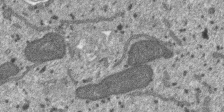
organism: Human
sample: Lung epithelial cells infected with SARS-CoV-2